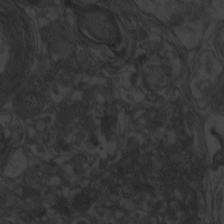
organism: Zebrafish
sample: Macrophage infected with Toxoplasma gondii